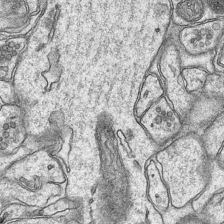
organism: Mouse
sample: CA1 Hippocampus